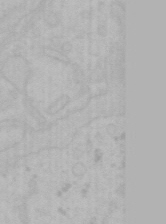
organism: Mouse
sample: Choroid plexus